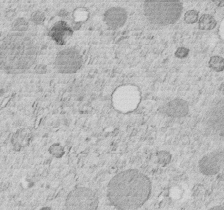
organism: C. elegans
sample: C. elegans embryo early stage